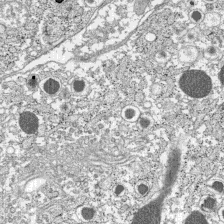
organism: C57BL Mouse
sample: Pancreatic islet